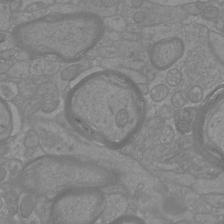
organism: Mouse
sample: Cortical neurons